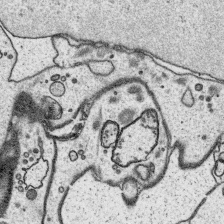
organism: Platynereis dumerilii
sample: Parapodia